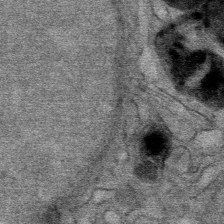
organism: Mouse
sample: Mouse Salivary gland